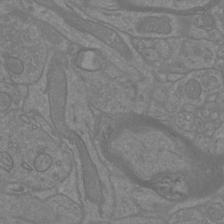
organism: Mouse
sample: Cortical neurons